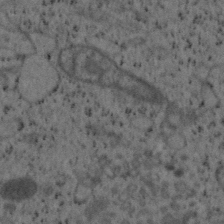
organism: Human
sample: HeLa cells